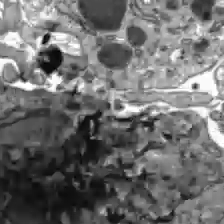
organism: C57BL Mouse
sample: Liver